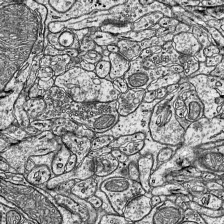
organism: Mouse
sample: Visual Cortex